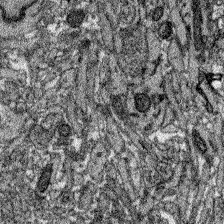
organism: Zebrafish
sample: Larval olfactory bulb